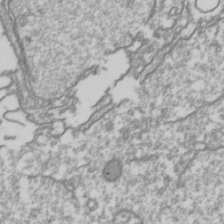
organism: Drosophila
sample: Cell division; meiosis; drosophila spermatocytes